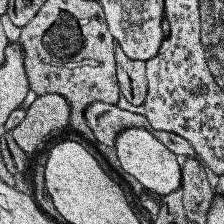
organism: Human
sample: Temporal Lobe